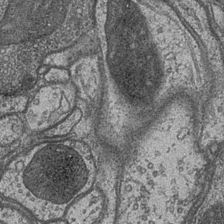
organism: Drosophila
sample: Optic medulla